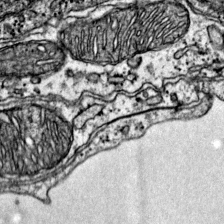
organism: Mouse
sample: Primary visual cortex